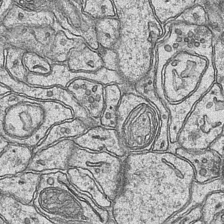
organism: Mouse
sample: CA1 Hippocampus